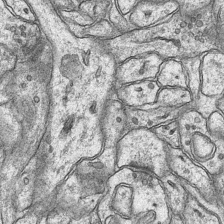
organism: Mouse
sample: CA1 Hippocampus